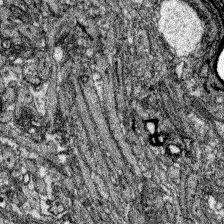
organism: Zebrafish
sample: Larval olfactory bulb